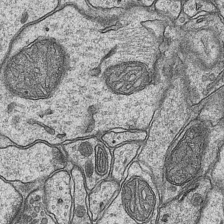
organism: Mouse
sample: CA1 Hippocampus